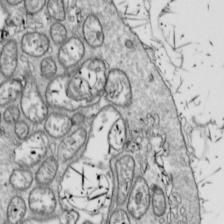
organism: Drosophila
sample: Cell division; meiosis; drosophila spermatocytes